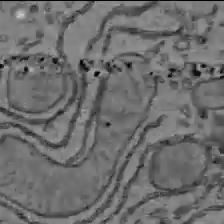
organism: C57BL Mouse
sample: Liver